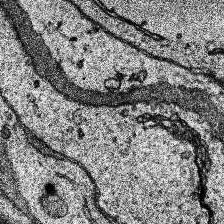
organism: Human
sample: Temporal Lobe